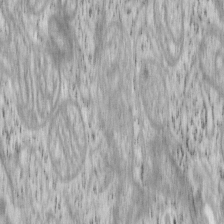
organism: Human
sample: HeLa cells